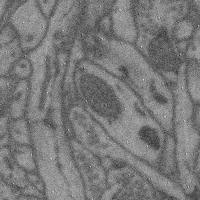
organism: Mouse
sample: Cerebral cortex